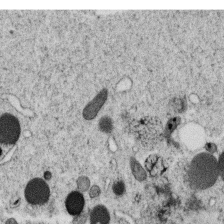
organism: C. elegans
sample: C. elegans oocyte; sperm cells